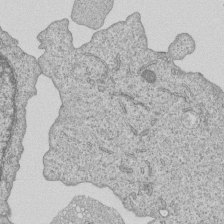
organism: Human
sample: MDA-MB-231 cells